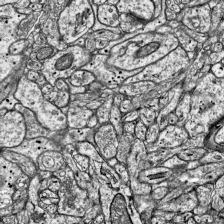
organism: Mouse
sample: Visual Cortex